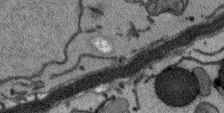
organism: Arabidopsis thaliana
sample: Root tip